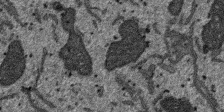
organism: Human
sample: Lung epithelial cells infected with SARS-CoV-2